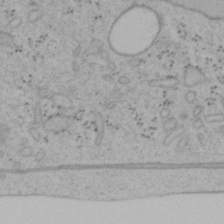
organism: Human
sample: HeLa cells